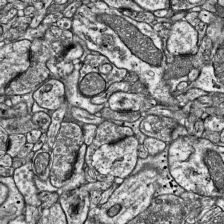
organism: Mouse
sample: Visual Cortex